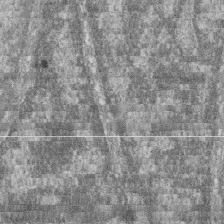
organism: Zebrafish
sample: Cilia; retinal pigment epithelium